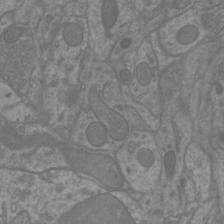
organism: Mouse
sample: Cortical neurons